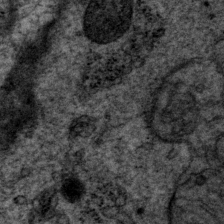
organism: P. pacificus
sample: Pharynx